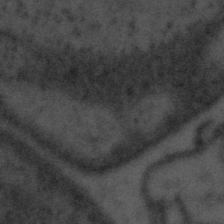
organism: Tuwongella immobilis